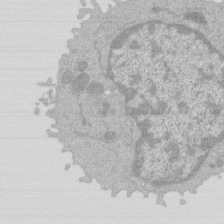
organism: Mouse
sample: Activated Pmel transgenic CD8+ T Cells